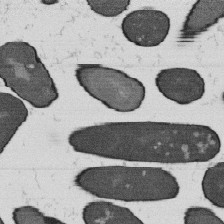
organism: B. subtilis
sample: Bacterial spore